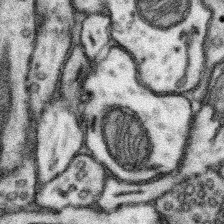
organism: Mouse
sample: Somatosensory cortex neuropil